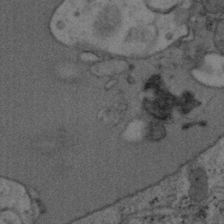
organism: Human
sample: HeLa cells